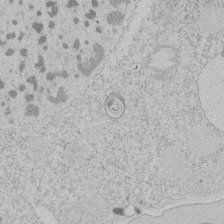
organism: Tetrahymena